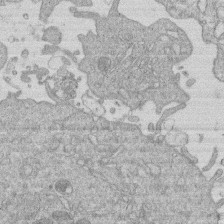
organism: Human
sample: Macrophage cells